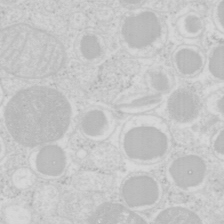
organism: Mouse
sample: Pancreas